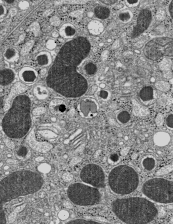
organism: C57BL Mouse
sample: Pancreatic islet